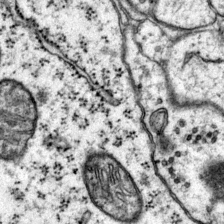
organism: Mouse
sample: Primary visual cortex